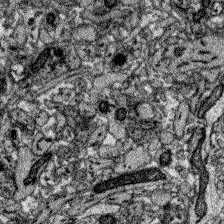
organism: Zebrafish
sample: Larval olfactory bulb